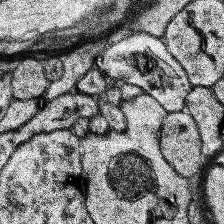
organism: Human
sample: Temporal Lobe